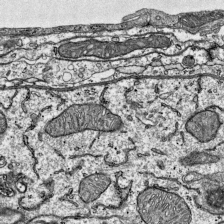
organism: Mouse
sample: Visual Cortex